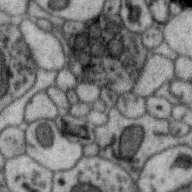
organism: Zebra finch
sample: Brain